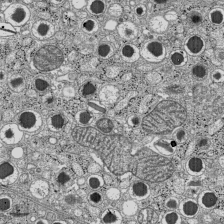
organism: C57BL Mouse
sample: Pancreatic islet